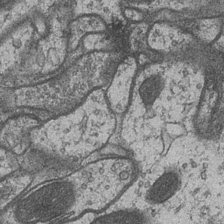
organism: Drosophila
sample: Optic medulla